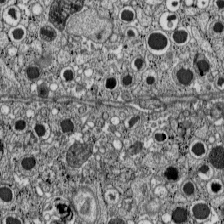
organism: C57BL Mouse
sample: Pancreatic islet